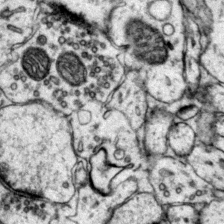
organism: Mouse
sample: Primary visual cortex